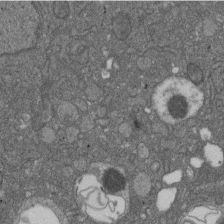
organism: Drosophila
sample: Nephrocyte